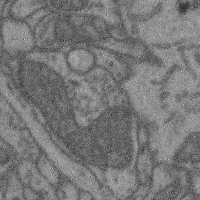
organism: Mouse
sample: Cerebral cortex